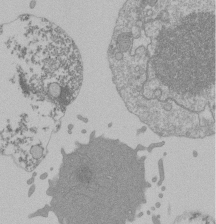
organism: Mouse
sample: Activated Pmel transgenic CD8+ T Cells